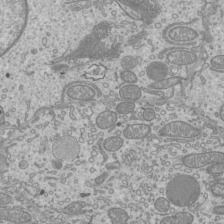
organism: Mouse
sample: Cilia; mouse epididymis